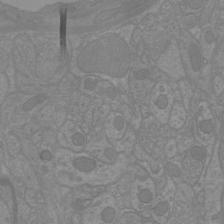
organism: Mouse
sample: Cortical neurons